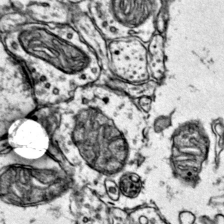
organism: Mouse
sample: Primary visual cortex